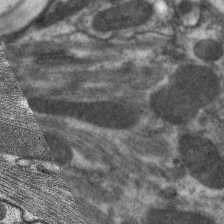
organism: C. elegans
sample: Pharynx